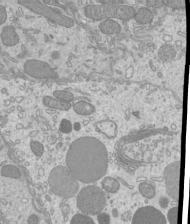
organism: Mouse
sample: Cilia; mouse epididymis